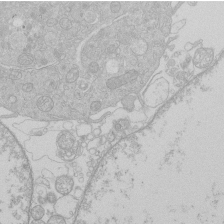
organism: Human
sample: Macrophage cells